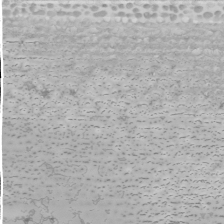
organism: Human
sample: Mitochondria in U2OS cells